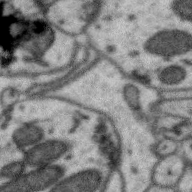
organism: Zebra finch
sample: Brain